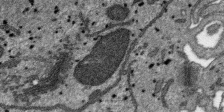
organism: Human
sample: Lung epithelial cells, uninfected (mock) control